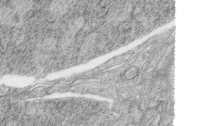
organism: Zebrafish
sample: synaptic ribbons in rod cells and cone cells